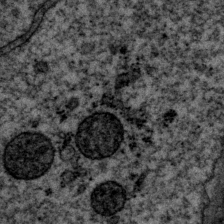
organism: P. pacificus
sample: Pharynx